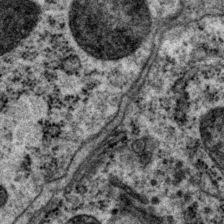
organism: P. pacificus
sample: Pharynx